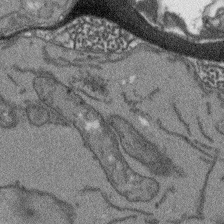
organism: Arabidopsis thaliana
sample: Root tip